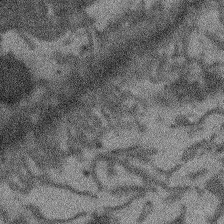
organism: Arabidopsis thaliana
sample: Root tip